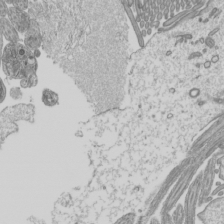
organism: Mouse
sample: Cilia; mouse epididymis